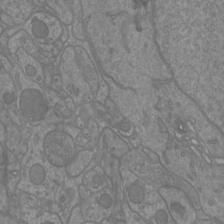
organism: Mouse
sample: Cortical neurons